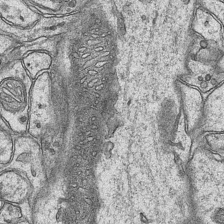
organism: Mouse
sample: CA1 Hippocampus